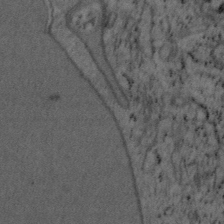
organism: Human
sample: HeLa cells